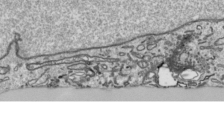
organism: Human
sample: Mitochondria in HCT116 cells